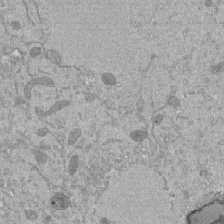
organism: Mouse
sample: ED-1 cell nuclei; centrioles